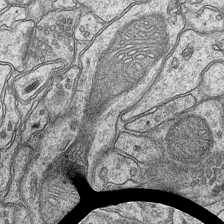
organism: Mouse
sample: CA1 Hippocampus